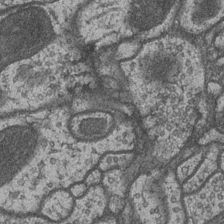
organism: Drosophila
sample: Optic medulla